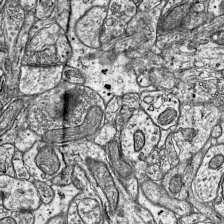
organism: Mouse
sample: Visual Cortex